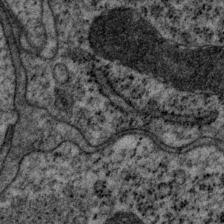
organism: P. pacificus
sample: Pharynx